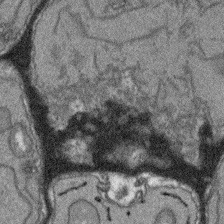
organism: Arabidopsis thaliana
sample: Root tip